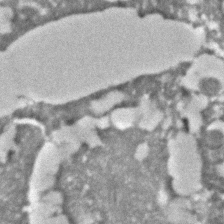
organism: C. elegans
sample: C. elegans embryo